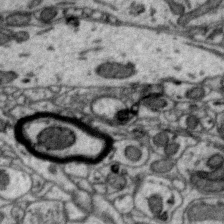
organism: Zebra finch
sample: Brain